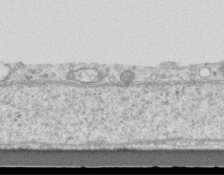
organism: Mouse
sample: Centriole in ependymal cells